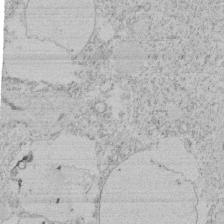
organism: Tetrahymena